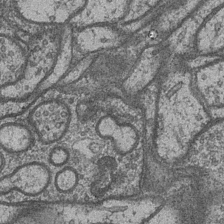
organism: Drosophila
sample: Optic medulla